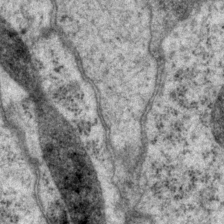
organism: P. pacificus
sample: Pharynx